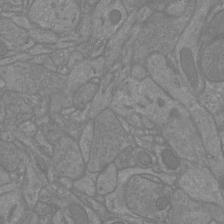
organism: Mouse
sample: Cortical neurons